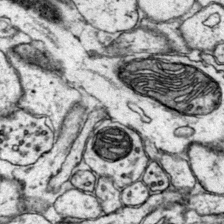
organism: Mouse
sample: Primary visual cortex